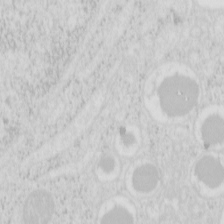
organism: Mouse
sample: Pancreas